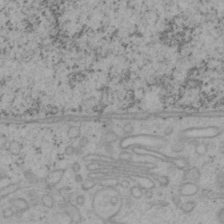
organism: Human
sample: HeLa cells